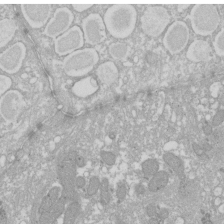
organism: Xenopus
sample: Cilia; centrioles in frog embryo cells